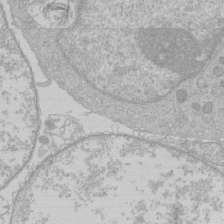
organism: Human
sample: Macrophage cells